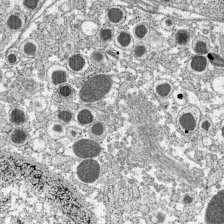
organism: C57BL Mouse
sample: Pancreatic islet